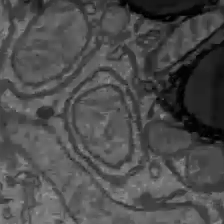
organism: C57BL Mouse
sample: Liver